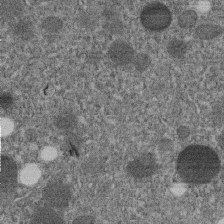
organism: C. elegans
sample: C. elegans embryo early stage